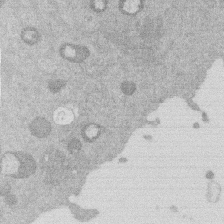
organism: Mouse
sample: Dividing mouse embryo 1 cell stage